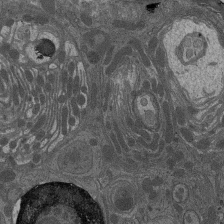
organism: Drosophila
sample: Antenna